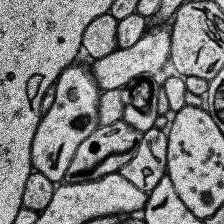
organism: Human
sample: Temporal Lobe